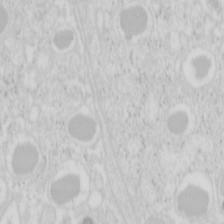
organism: Mouse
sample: Pancreas